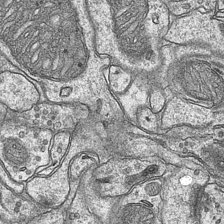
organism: Mouse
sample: CA1 Hippocampus